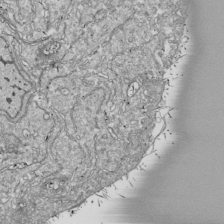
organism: Drosophila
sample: Cell division; meiosis; drosophila spermatocytes